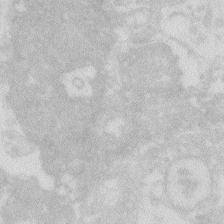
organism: Zebrafish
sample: Macrophage